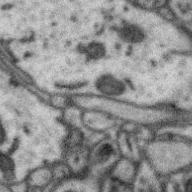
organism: Zebra finch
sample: Brain